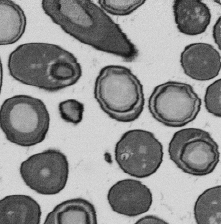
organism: B. subtilis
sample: Bacterial spore